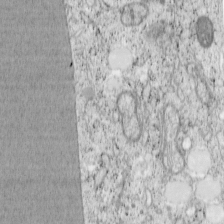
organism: African green monkey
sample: COS-7 cells